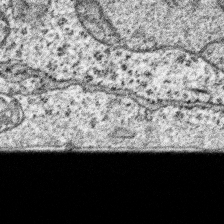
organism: Human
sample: HeLa cells